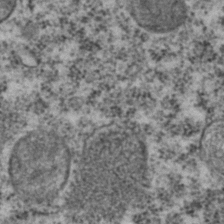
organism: C. elegans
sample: C. elegans embryo